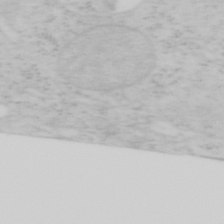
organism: Mouse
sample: OT-I killer T cells with ID8 ovarian cancer cells